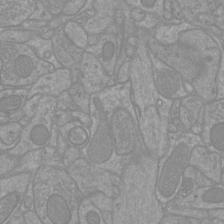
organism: Mouse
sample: Cortical neurons